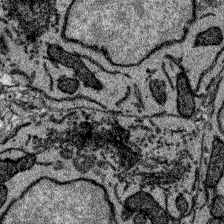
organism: Zebrafish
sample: Larval olfactory bulb